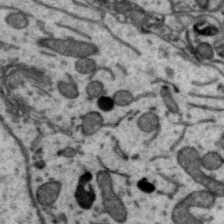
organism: Zebra finch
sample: Brain